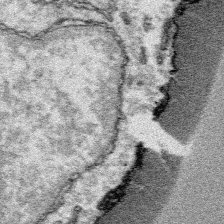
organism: Platynereis dumerilii